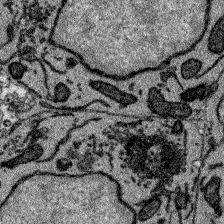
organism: Zebrafish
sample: Larval olfactory bulb